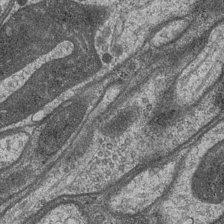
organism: Drosophila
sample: Optic medulla